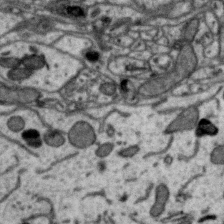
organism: Zebra finch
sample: Brain